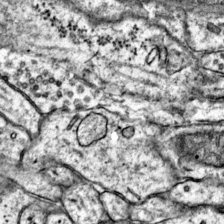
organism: Mouse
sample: Primary visual cortex